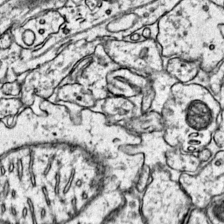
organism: Mouse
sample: Primary visual cortex